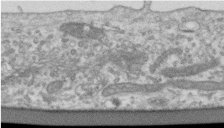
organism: Human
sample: Centriole in RPE cells